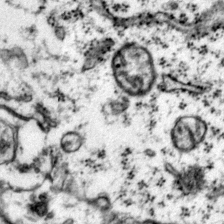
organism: Mouse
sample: Primary visual cortex